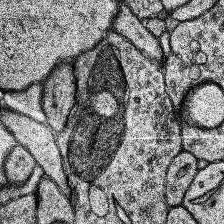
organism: Human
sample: Temporal Lobe